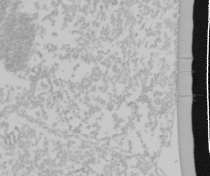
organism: Mouse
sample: Cancer cell death in ED-1 cells